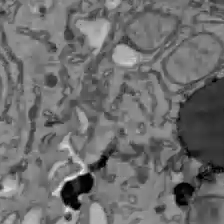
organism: C57BL Mouse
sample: Liver